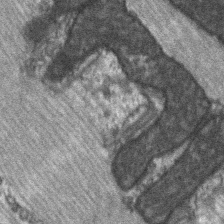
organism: C57BL Mouse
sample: Soleus